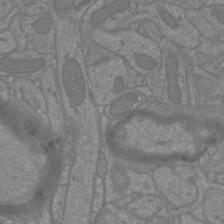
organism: Mouse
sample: Cortical neurons